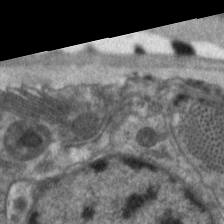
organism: C. elegans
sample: Pharynx